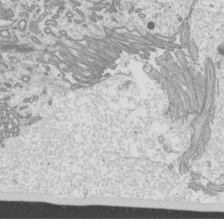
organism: Mouse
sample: Cilia; mouse epididymis